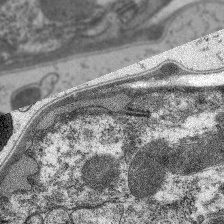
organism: C. elegans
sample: Pharynx